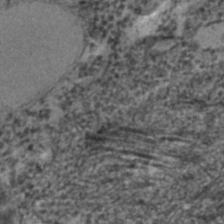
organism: C. elegans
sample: C. elegans embryo